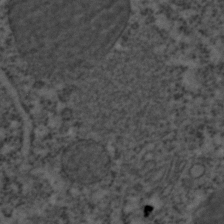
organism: C. elegans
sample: C. elegans embryo